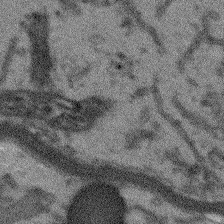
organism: Arabidopsis thaliana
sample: Root tip